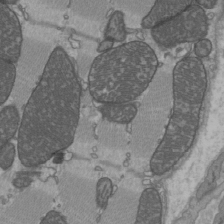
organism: C57BL Mouse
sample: Heart